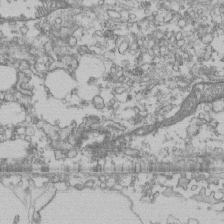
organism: Human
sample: Fibroblast cells